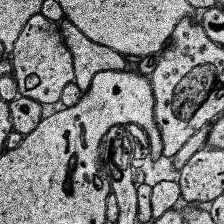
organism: Human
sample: Temporal Lobe